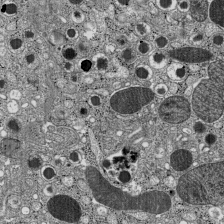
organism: C57BL Mouse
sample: Pancreatic islet